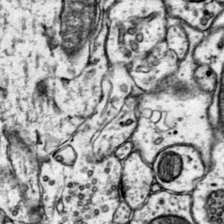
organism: Mouse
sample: Primary visual cortex